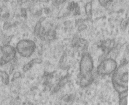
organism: Human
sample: Centriole in RPE cells